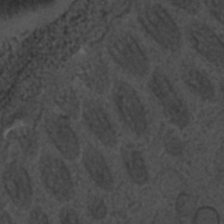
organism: C. elegans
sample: C. elegans embryo